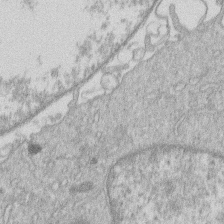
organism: Human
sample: Macrophage cells